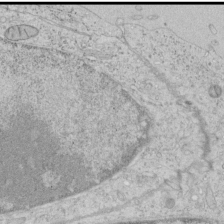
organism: Human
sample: Mitochondria in HCT116 cells